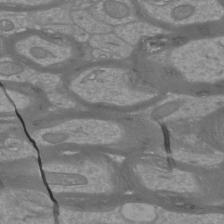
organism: Mouse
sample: Cortical neurons